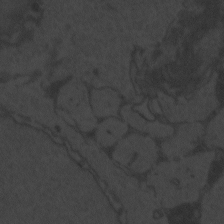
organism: Zebrafish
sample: Macrophage infected with Toxoplasma gondii